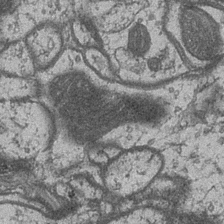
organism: Drosophila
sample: Optic medulla